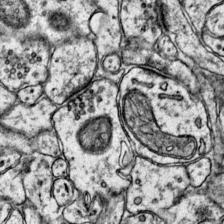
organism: Mouse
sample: Primary visual cortex